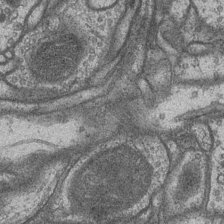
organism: Drosophila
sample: Optic medulla